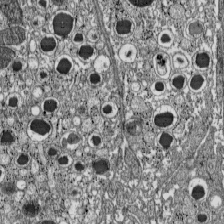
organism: C57BL Mouse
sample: Pancreatic islet